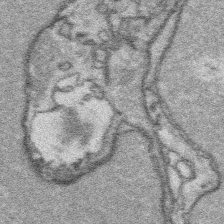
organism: Platynereis dumerilii